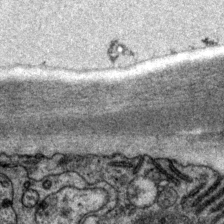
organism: P. pacificus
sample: Pharynx